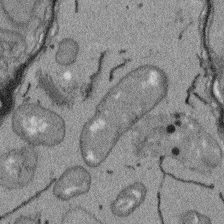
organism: Arabidopsis thaliana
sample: Root tip